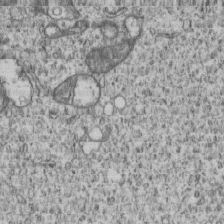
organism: Human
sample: MDA-MB-231 cells